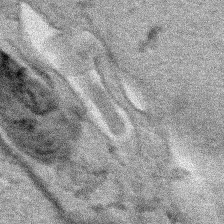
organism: Human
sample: Mitochondria in HCT116 cells